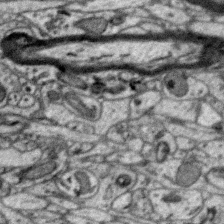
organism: Zebra finch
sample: Brain